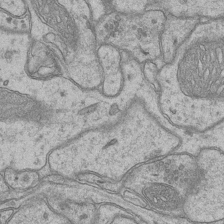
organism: Mouse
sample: CA1 Hippocampus